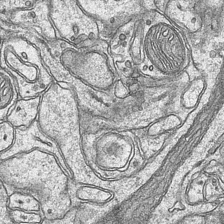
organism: Mouse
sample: CA1 Hippocampus